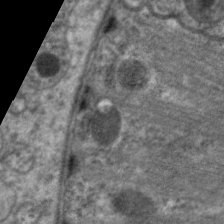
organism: C. elegans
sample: Pharynx